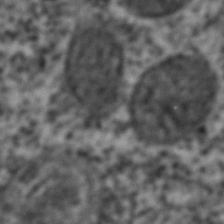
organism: C. elegans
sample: C. elegans embryo